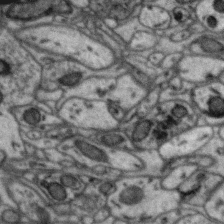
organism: Zebra finch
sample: Brain